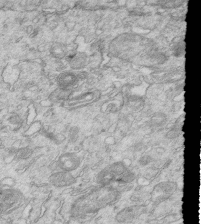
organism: Mouse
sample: Multiciliated cells